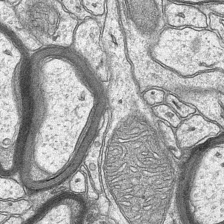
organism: Mouse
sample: CA1 Hippocampus